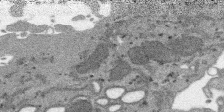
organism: Human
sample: Lung epithelial cells infected with SARS-CoV-2